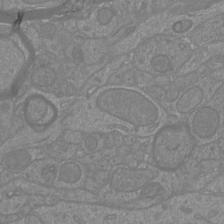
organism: Mouse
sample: Cortical neurons